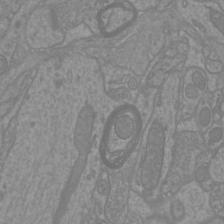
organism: Mouse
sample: Cortical neurons